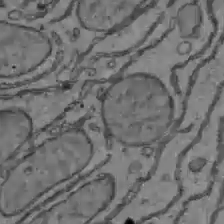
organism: C57BL Mouse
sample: Liver